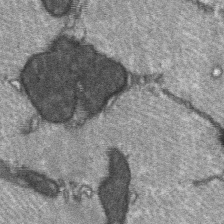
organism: C57BL Mouse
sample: Soleus